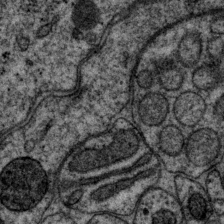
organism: P. pacificus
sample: Pharynx